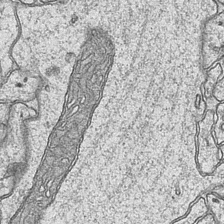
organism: Mouse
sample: CA1 Hippocampus